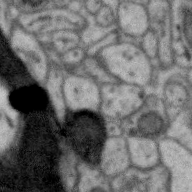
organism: Zebra finch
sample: Brain